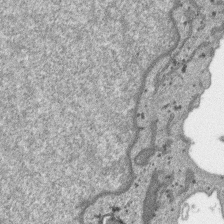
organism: Human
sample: Lung epithelial cells infected with SARS-CoV-2